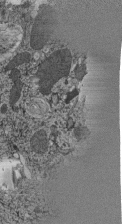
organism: C. elegans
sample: C. elegans pharynx